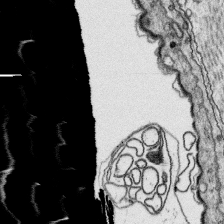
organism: Platynereis dumerilii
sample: Parapodia